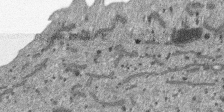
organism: Human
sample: Lung epithelial cells infected with SARS-CoV-2